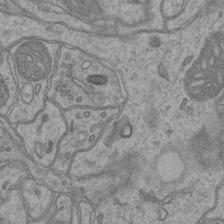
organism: Mouse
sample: CA1 Hippocampus